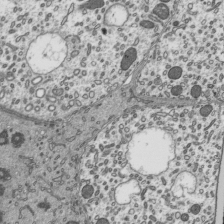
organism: Mouse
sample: Mouse epididymis efferent ductule cilia